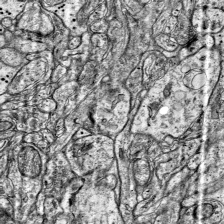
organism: Mouse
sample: Visual Cortex